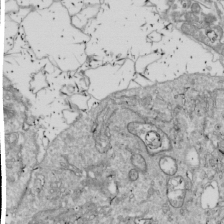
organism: Drosophila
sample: Cell division; meiosis; drosophila spermatocytes